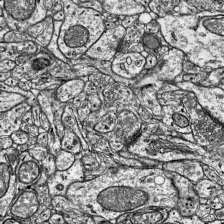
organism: Mouse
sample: Visual Cortex